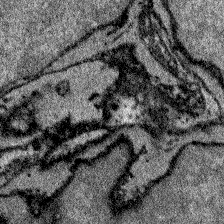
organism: Zebrafish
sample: Larval olfactory bulb